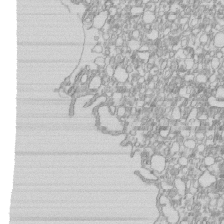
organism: Mouse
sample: Macrophages